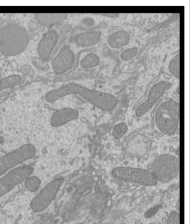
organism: Mouse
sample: Cilia; mouse epididymis